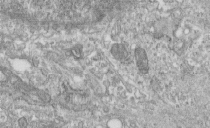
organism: Human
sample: Centriole in fibroblast cells